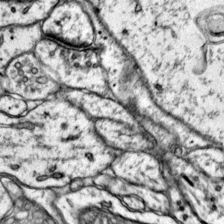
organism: Mouse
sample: Primary visual cortex